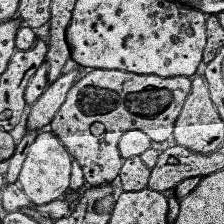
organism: Human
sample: Temporal Lobe